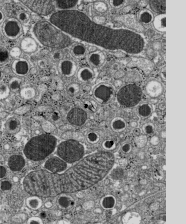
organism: C57BL Mouse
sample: Pancreatic islet